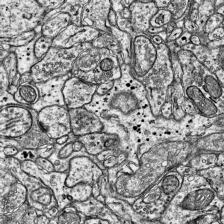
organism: Mouse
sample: Visual Cortex